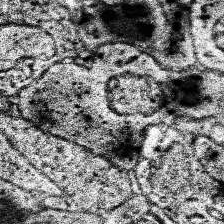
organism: Human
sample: Temporal Lobe